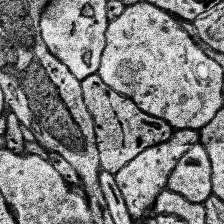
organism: Human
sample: Temporal Lobe